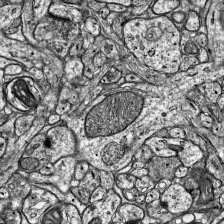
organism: Mouse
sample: Visual Cortex